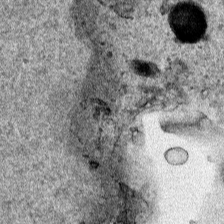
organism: Human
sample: Mitochondria in HCT116 cells